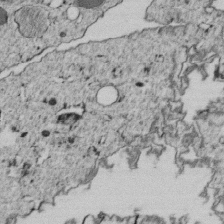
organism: C. elegans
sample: C. elegans embryo early stage